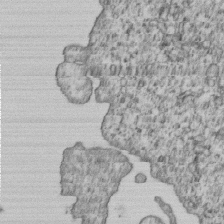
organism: Human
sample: MDA-MB-231 cells